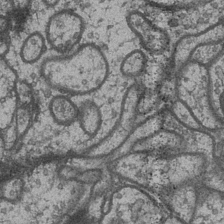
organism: Drosophila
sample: Optic medulla